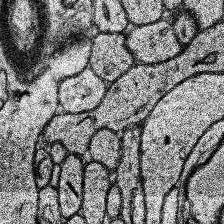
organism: Human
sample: Temporal Lobe